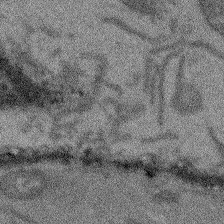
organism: Arabidopsis thaliana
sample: Root tip